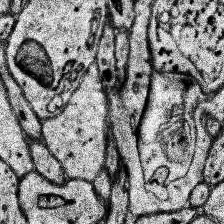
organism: Human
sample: Temporal Lobe